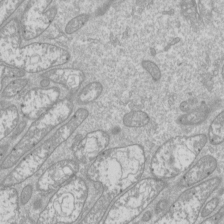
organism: Drosophila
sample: Cell division; meiosis; drosophila spermatocytes